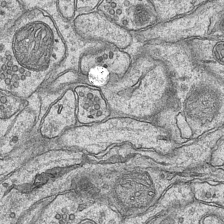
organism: Mouse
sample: CA1 Hippocampus